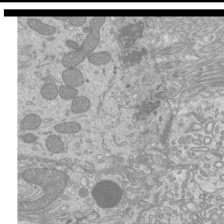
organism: Mouse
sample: Cilia; mouse epididymis